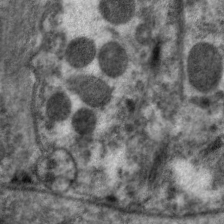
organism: C. elegans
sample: Pharynx